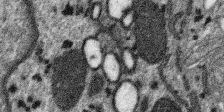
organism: Human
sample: Lung epithelial cells infected with SARS-CoV-2